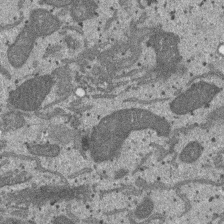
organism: Human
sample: Lung epithelial cells infected with SARS-CoV-2